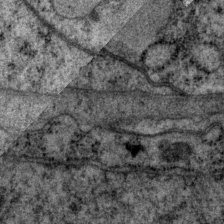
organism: P. pacificus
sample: Pharynx